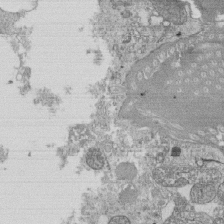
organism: Tetrahymena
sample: Cilia in tetrahymena